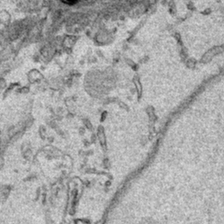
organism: Human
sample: Mitochondria in HCT116 cells